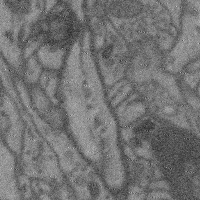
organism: Mouse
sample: Cerebral cortex